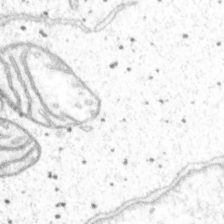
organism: Human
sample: HeLa cells